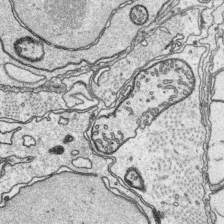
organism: Platynereis dumerilii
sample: Parapodia